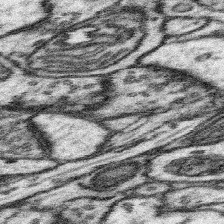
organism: Mouse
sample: Somatosensory cortex neuropil